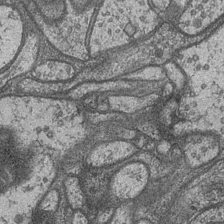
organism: Drosophila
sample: Optic medulla